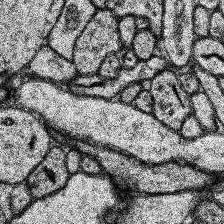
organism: Human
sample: Temporal Lobe